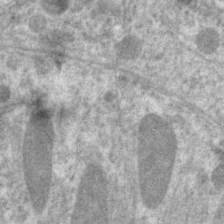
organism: C. elegans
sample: Pharynx